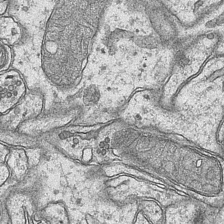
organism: Mouse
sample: CA1 Hippocampus